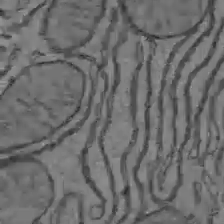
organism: C57BL Mouse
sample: Liver